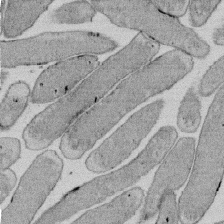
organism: E. coli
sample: Bacterial nucleoid